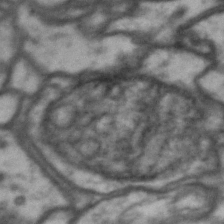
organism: Drosophila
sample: Brain